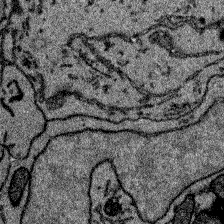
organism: Zebrafish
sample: Larval olfactory bulb